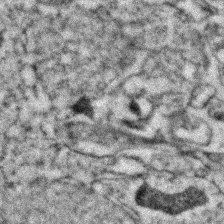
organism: Zebrafish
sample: Zebrafish embryo